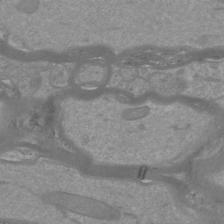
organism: Mouse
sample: Cortical neurons